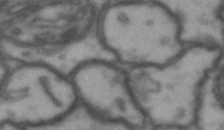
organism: Drosophila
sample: Brain